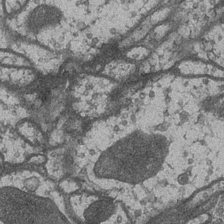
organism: Drosophila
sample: Optic medulla